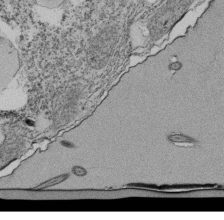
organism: Tetrahymena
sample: Cilia in tetrahymena